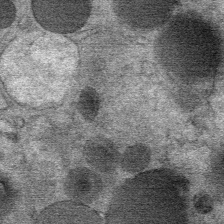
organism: Mouse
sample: Mouse Salivary gland